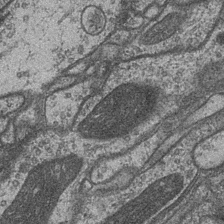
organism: Drosophila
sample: Optic medulla